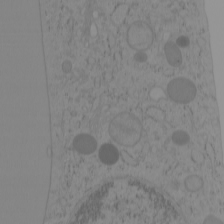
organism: Human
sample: HeLa cells